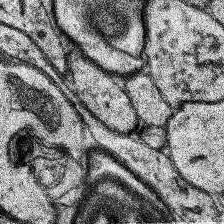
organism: Human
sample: Temporal Lobe